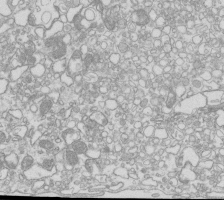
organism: Mouse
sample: Macrophages